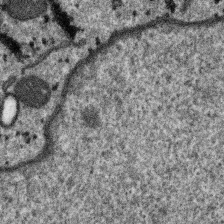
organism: Human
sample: Lung epithelial cells infected with SARS-CoV-2